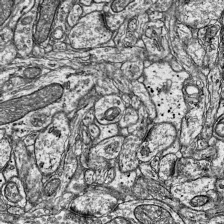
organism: Mouse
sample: Visual Cortex